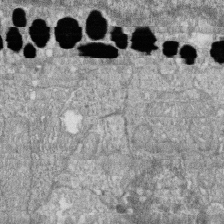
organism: Zebrafish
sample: Cilia; retinal pigment epithelium